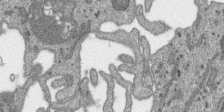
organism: Human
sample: Lung epithelial cells infected with SARS-CoV-2